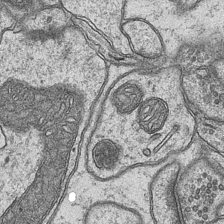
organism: Mouse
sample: CA1 Hippocampus